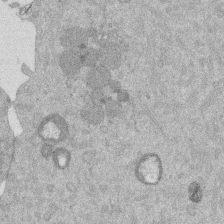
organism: Mouse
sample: Dividing mouse embryo 1 cell stage